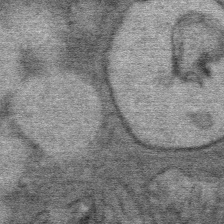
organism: Mouse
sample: Mouse Salivary gland